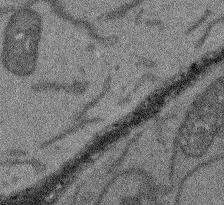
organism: Arabidopsis thaliana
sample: Root tip